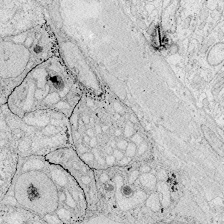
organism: Zebrafish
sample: Whole-Brain